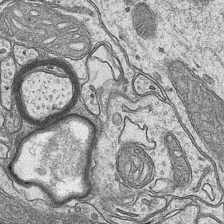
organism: Mouse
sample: CA1 Hippocampus